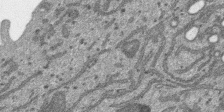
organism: Human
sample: Lung epithelial cells infected with SARS-CoV-2